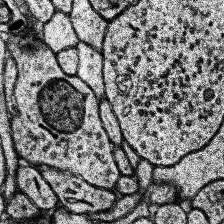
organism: Human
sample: Temporal Lobe